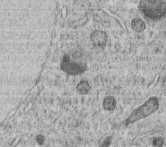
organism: C. elegans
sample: C. elegans embryo early stage